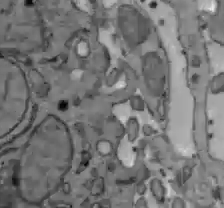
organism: C57BL Mouse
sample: Liver